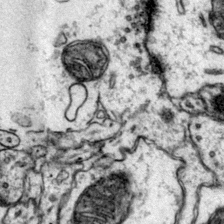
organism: Mouse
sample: Primary visual cortex